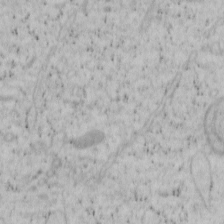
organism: Human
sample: HeLa cells